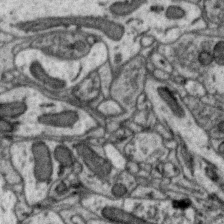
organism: Zebra finch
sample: Brain